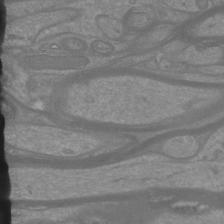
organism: Mouse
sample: Cortical neurons